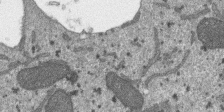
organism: Human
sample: Lung epithelial cells infected with SARS-CoV-2